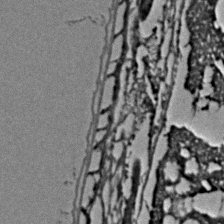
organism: C. elegans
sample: C. elegans embryo